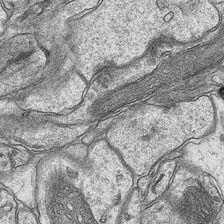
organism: Mouse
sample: CA1 Hippocampus